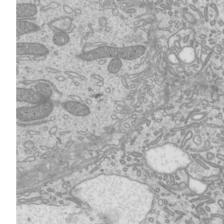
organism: Mouse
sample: Cilia; mouse epididymis